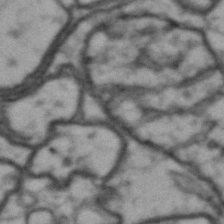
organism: Drosophila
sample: Brain